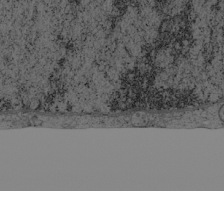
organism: African green monkey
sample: COS-7 cells